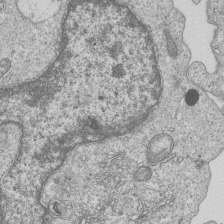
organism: Human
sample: MDA-MB-231 cells